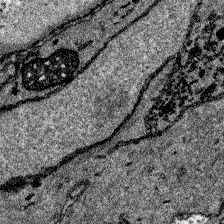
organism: Zebrafish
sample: Larval olfactory bulb